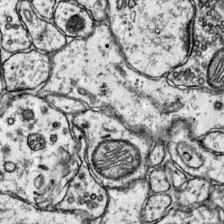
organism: Mouse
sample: Primary visual cortex